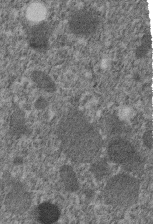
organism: C. elegans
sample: C. elegans embryo early stage